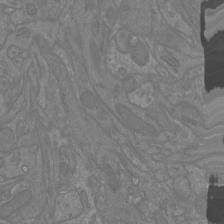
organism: Mouse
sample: Cortical neurons